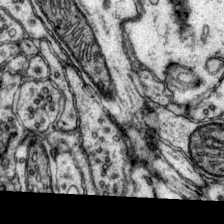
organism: Mouse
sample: Primary visual cortex